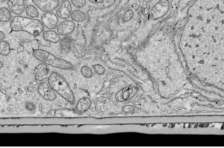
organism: Drosophila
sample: Cell division; meiosis; drosophila spermatocytes